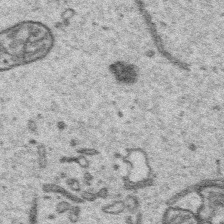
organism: Platynereis dumerilii